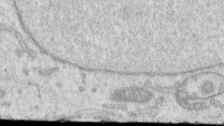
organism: Human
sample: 1205lu cells